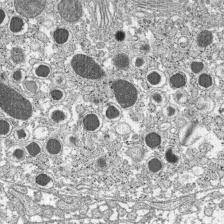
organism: C57BL Mouse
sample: Pancreatic islet